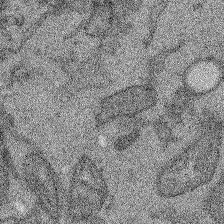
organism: Human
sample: HeLa cells